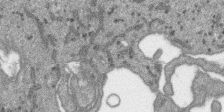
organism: Human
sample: Lung epithelial cells infected with SARS-CoV-2